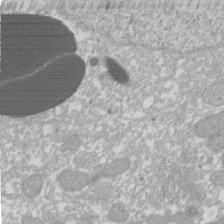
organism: Xenopus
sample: Cilia; centrioles in frog embryo cells